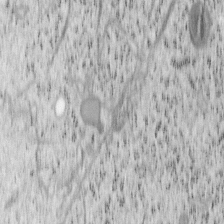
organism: Human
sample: HeLa cells